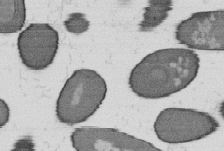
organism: B. subtilis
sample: Bacterial spore